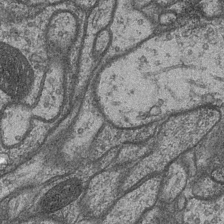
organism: Drosophila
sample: Optic medulla